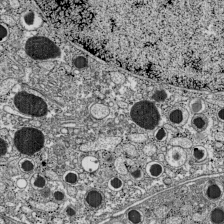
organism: C57BL Mouse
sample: Pancreatic islet